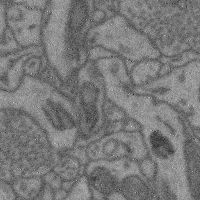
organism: Mouse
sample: Cerebral cortex